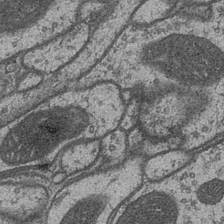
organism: Drosophila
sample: Optic medulla